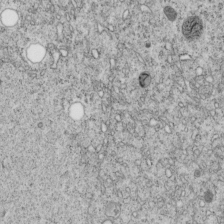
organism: C. elegans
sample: C. elegans embryo early stage